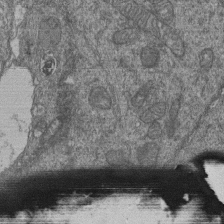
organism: Human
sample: Retinal organoid Rod and Cone cells